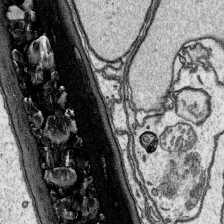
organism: Platynereis dumerilii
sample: Parapodia